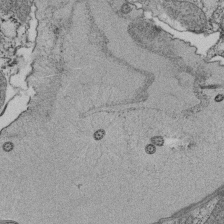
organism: Tetrahymena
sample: Cilia in tetrahymena